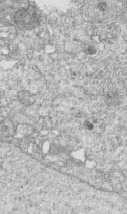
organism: Human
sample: HeLa cell HIV synapse